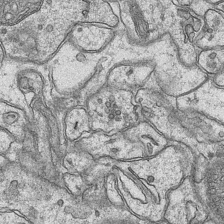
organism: Mouse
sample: CA1 Hippocampus